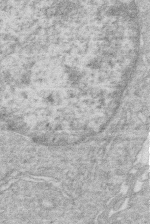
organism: Human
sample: Macrophage cells